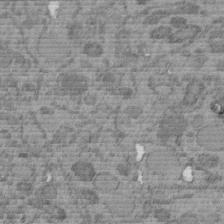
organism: C. elegans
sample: C. elegans embryo early stage